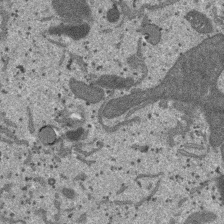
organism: Human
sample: Lung epithelial cells infected with SARS-CoV-2